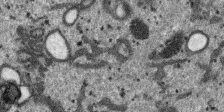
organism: Human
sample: Lung epithelial cells infected with SARS-CoV-2